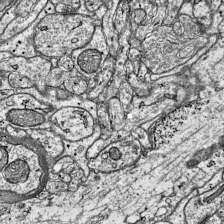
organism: Mouse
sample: Visual Cortex